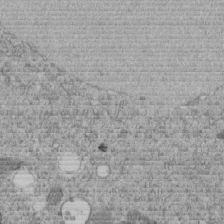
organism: C. elegans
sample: C. elegans embryo early stage